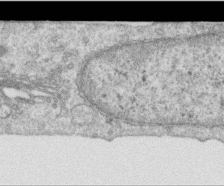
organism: Human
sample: Centriole in RPE cells